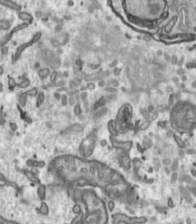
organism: Toxoplasma gondii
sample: Parasites in a vacuole inside a host cell